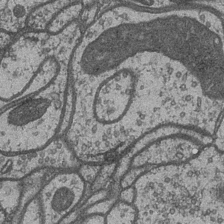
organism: Drosophila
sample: Optic medulla